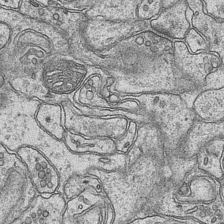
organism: Mouse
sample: CA1 Hippocampus